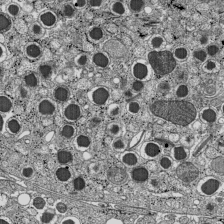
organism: C57BL Mouse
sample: Pancreatic islet